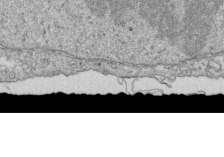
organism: Human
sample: HeLa cell HIV synapse